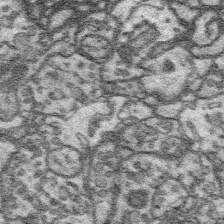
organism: Platynereis dumerilii